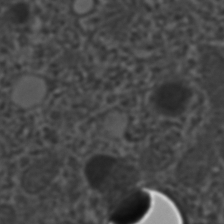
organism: C. elegans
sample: C. elegans embryo